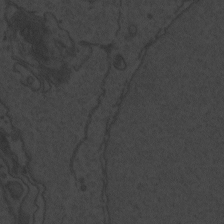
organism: Zebrafish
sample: Macrophage infected with Toxoplasma gondii